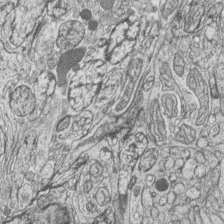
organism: Zebrafish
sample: synaptic ribbons in rod cells and cone cells